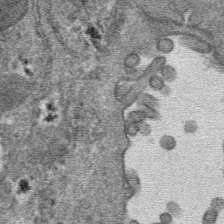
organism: Mouse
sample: Mouse hepatocytes